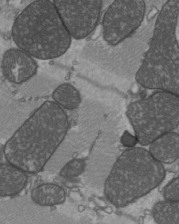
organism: C57BL Mouse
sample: Heart